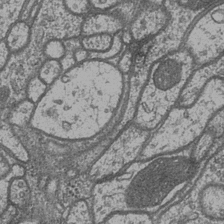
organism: Drosophila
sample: Optic medulla